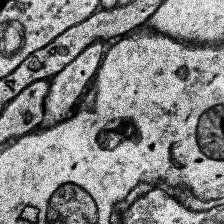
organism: Human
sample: Temporal Lobe